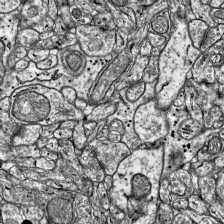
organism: Mouse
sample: Visual Cortex